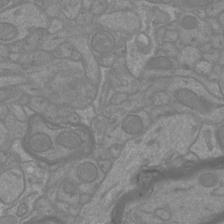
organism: Mouse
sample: Cortical neurons